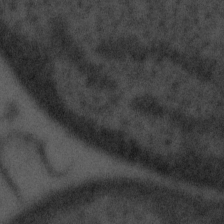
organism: Tuwongella immobilis